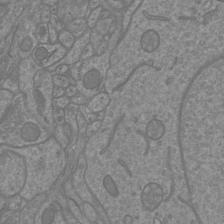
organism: Mouse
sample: Cortical neurons